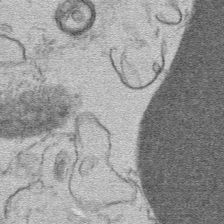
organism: Mouse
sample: Mouse hepatocytes